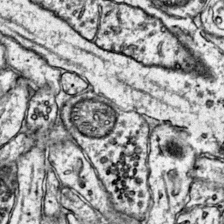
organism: Mouse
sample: Primary visual cortex